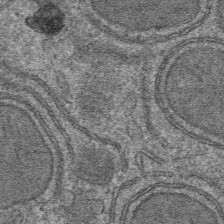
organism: Mouse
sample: Mouse hepatocytes